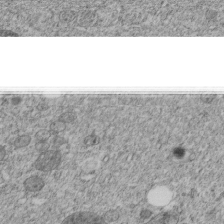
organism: C. elegans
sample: C. elegans embryo early stage